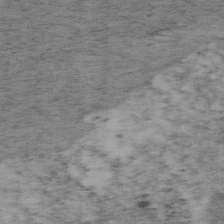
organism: Mouse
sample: OT-I killer T cells with ID8 ovarian cancer cells